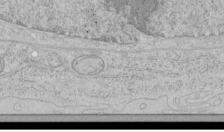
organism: Human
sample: Mitochondria in HCT116 cells